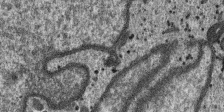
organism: Human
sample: Lung epithelial cells infected with SARS-CoV-2